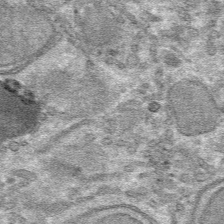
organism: Mouse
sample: Mouse hepatocytes